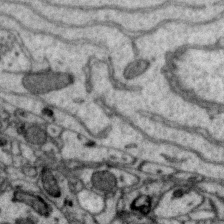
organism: Zebra finch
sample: Brain